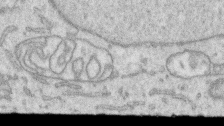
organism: Human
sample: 1205lu cells